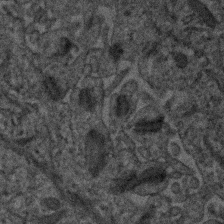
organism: Human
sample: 1205lu cells